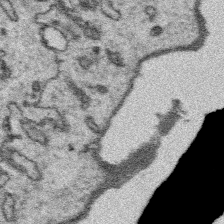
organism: Platynereis dumerilii